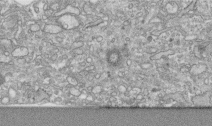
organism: Human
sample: Centriole in RPE cells